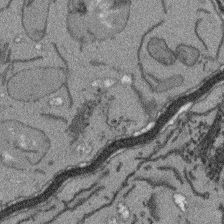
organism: Arabidopsis thaliana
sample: Root tip